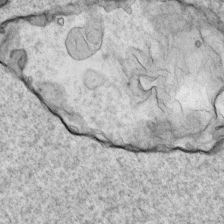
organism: Human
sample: Mitochondria in HCT116 cells